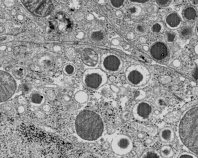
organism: C57BL Mouse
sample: Pancreatic islet